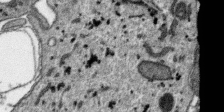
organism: Human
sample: Lung epithelial cells, uninfected (mock) control